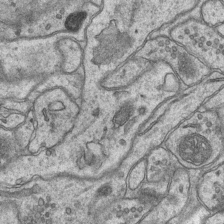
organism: Mouse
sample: CA1 Hippocampus